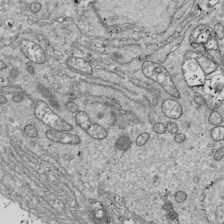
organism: Drosophila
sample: Cell division; meiosis; drosophila spermatocytes